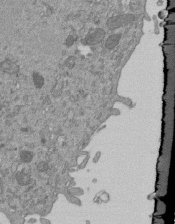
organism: Mouse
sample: ED-1 cell nuclei; centrioles